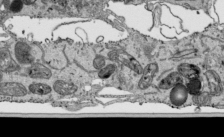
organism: Human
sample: Mitochondria in HCT116 cells